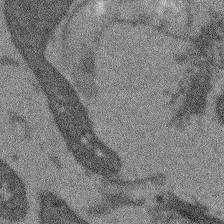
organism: Arabidopsis thaliana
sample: Root tip